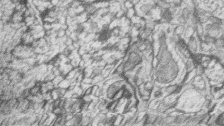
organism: Zebrafish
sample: synaptic ribbons in rod cells and cone cells